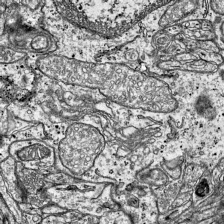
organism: Mouse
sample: Visual Cortex